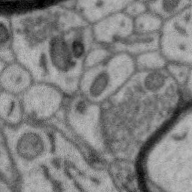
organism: Zebra finch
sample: Brain